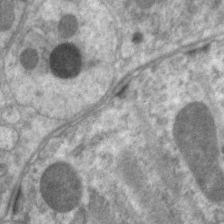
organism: C. elegans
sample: Pharynx